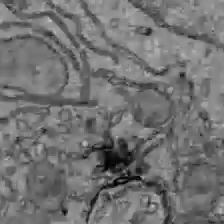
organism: C57BL Mouse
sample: Liver